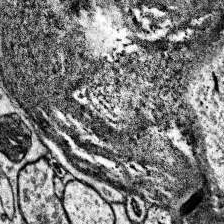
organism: Human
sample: Temporal Lobe